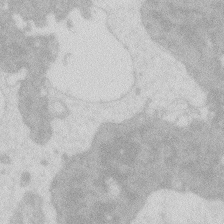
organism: Zebrafish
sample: Macrophage